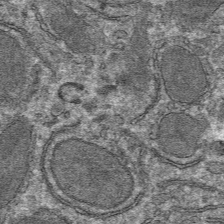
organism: Mouse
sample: Mouse hepatocytes